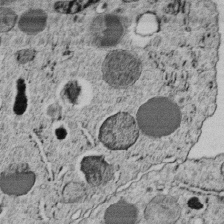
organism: C. elegans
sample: C. elegans embryo early stage